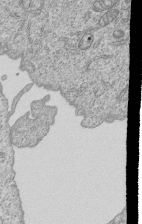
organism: Human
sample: MDA-MB-231 cells